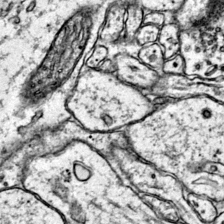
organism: Mouse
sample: Primary visual cortex